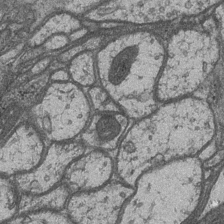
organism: Drosophila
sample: Optic medulla